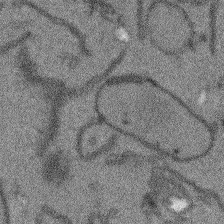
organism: Arabidopsis thaliana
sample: Root tip